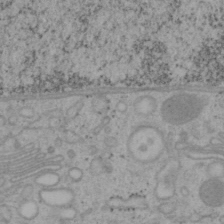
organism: Human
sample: HeLa cells